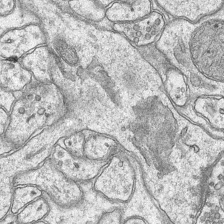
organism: Mouse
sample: CA1 Hippocampus